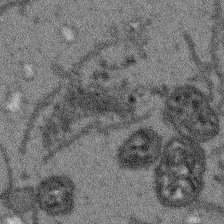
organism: Arabidopsis thaliana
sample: Root tip